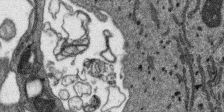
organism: Human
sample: Lung epithelial cells infected with SARS-CoV-2